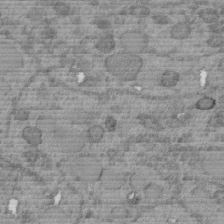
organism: C. elegans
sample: C. elegans embryo early stage